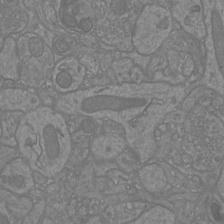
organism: Mouse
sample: Cortical neurons